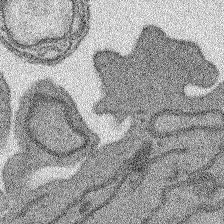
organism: Human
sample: HeLa cells